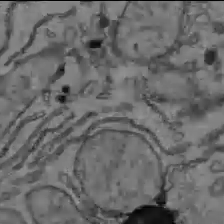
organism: C57BL Mouse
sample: Liver